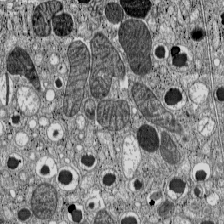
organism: C57BL Mouse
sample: Pancreatic islet